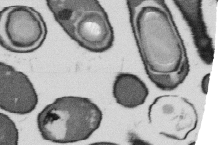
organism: B. subtilis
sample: Bacterial spore